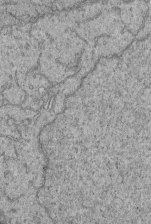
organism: Human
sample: Retinal organoid Rod and Cone cells